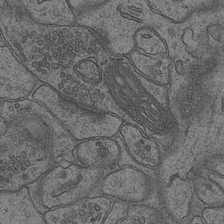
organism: Mouse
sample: CA1 Hippocampus